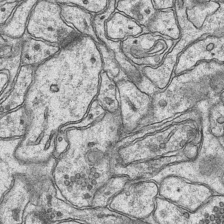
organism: Mouse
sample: CA1 Hippocampus